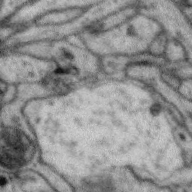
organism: Zebra finch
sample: Brain